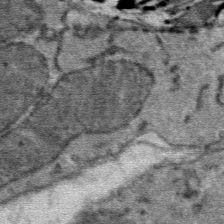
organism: Mouse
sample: Mouse Salivary gland